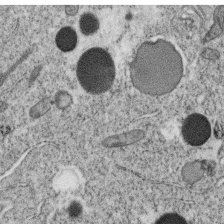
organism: C. elegans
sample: C. elegans oocyte; sperm cells